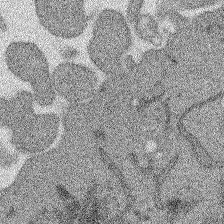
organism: Human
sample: HeLa cells